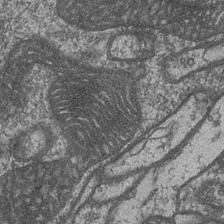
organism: Drosophila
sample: Optic medulla